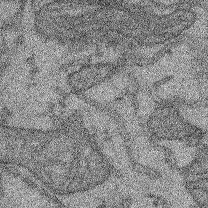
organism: Human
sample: HeLa cells